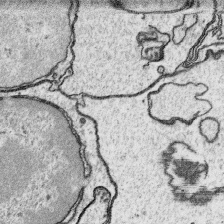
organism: Platynereis dumerilii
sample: Parapodia